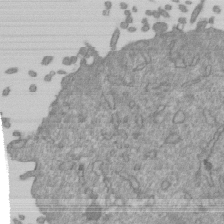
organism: Mouse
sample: ED-1 cell nuclei; centrioles